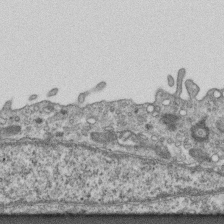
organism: Mouse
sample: Centriole in ependymal cells